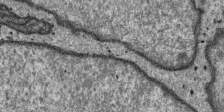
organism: Human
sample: Lung epithelial cells, uninfected (mock) control